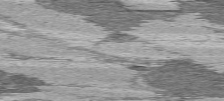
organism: C57BL Mouse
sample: Heart